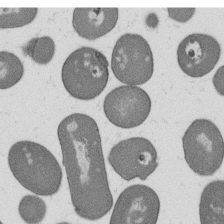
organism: B. subtilis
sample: Bacterial spore